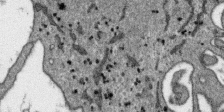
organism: Human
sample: Lung epithelial cells, uninfected (mock) control